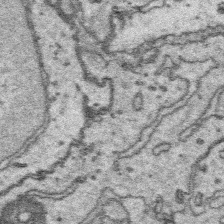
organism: Platynereis dumerilii